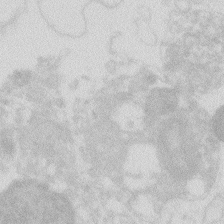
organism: Zebrafish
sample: Macrophage